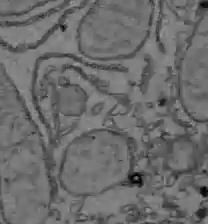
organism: C57BL Mouse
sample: Liver